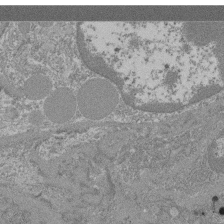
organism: Mouse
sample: Glomerulus